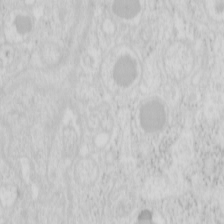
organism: Mouse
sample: Pancreas